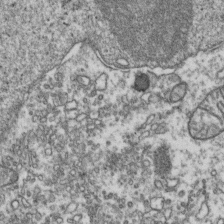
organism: Human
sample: Activated Jurkat CD4+ T cells